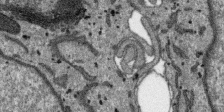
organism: Human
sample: Lung epithelial cells, uninfected (mock) control